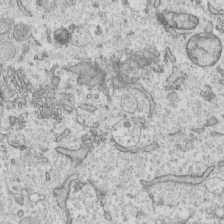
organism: Human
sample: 1205lu cells